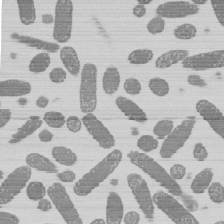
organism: E. coli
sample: Bacterial nucleoid